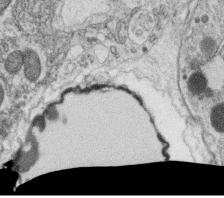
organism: C. elegans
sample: C. elegans oocyte; sperm cells